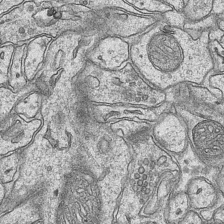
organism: Mouse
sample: CA1 Hippocampus